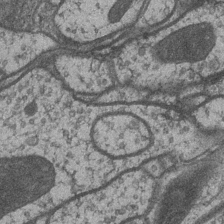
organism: Drosophila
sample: Optic medulla